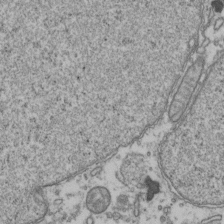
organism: Human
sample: Activated Jurkat CD4+ T cells